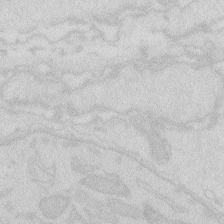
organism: Zebrafish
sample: Macrophage